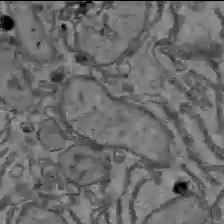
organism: C57BL Mouse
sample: Liver